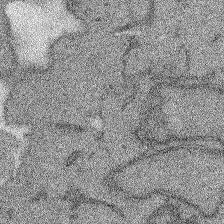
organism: Human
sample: HeLa cells